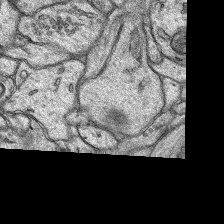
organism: Rat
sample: Hippocampus